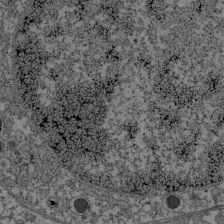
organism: C57BL Mouse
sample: Pancreatic islet